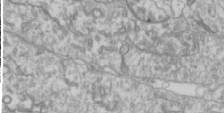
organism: Drosophila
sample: Cell division; meiosis; drosophila spermatocytes